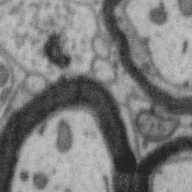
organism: Zebra finch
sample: Brain